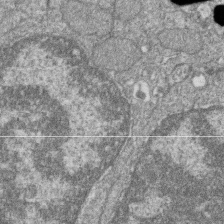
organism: Zebrafish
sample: Cilia; retinal pigment epithelium